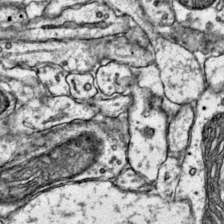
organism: Mouse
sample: Primary visual cortex